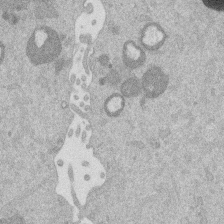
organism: Mouse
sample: Dividing mouse embryo 1 cell stage